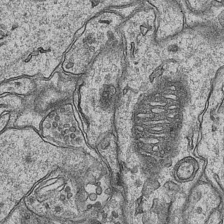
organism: Mouse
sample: CA1 Hippocampus